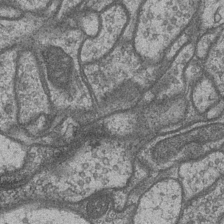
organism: Drosophila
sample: Optic medulla